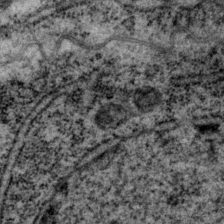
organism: P. pacificus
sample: Pharynx